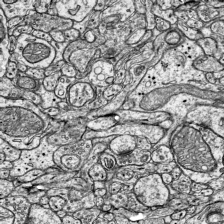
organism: Mouse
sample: Visual Cortex